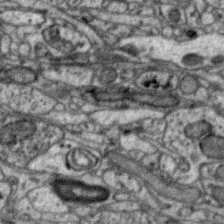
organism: Zebra finch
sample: Brain